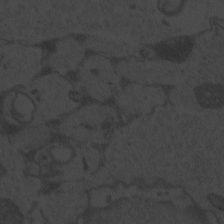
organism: Zebrafish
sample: Macrophage infected with Toxoplasma gondii